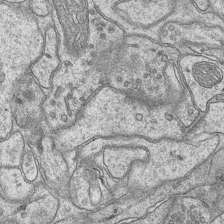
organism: Mouse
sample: CA1 Hippocampus